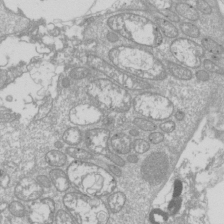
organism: Drosophila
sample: Cell division; meiosis; drosophila spermatocytes